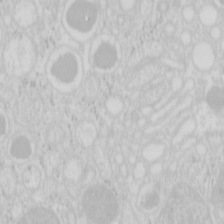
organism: Mouse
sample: Pancreas